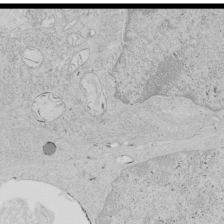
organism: Human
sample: Mitochondria in HCT116 cells